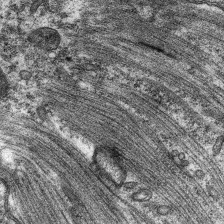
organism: C. elegans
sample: Pharynx